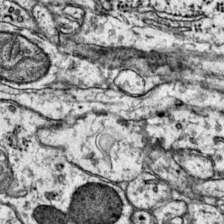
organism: Mouse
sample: Primary visual cortex